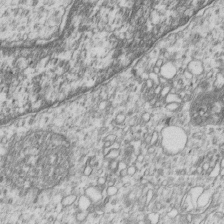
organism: Human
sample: MDA-MB-231 cells